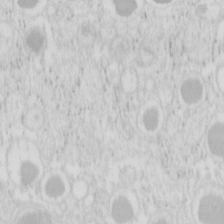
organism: Mouse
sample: Pancreas